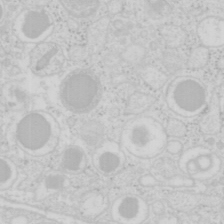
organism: Mouse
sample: Pancreas